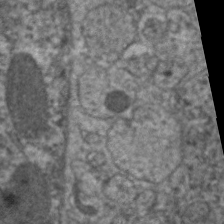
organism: C. elegans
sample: Pharynx